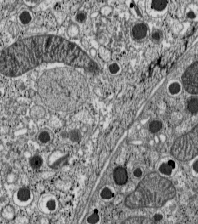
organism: C57BL Mouse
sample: Pancreatic islet